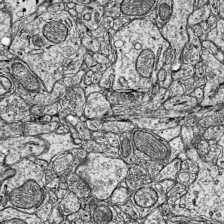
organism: Mouse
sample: Visual Cortex